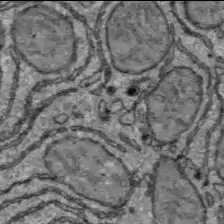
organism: C57BL Mouse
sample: Liver